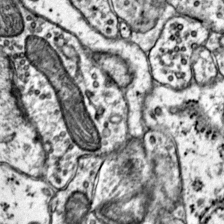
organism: Mouse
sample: Primary visual cortex